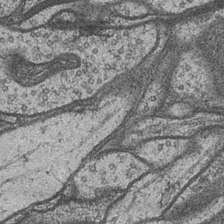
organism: Drosophila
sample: Optic medulla